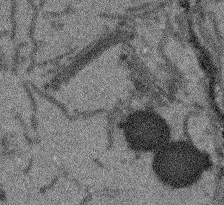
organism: Arabidopsis thaliana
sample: Root tip